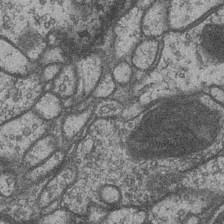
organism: Drosophila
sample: Optic medulla